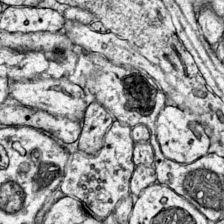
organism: Mouse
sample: Primary visual cortex